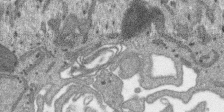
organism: Human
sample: Lung epithelial cells infected with SARS-CoV-2